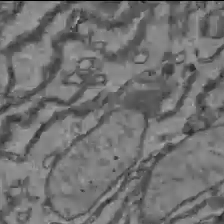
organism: C57BL Mouse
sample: Liver